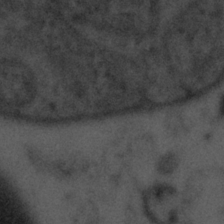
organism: Tuwongella immobilis